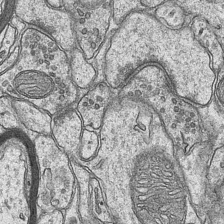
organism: Mouse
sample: CA1 Hippocampus